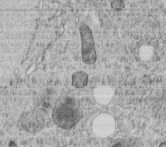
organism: C. elegans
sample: C. elegans embryo early stage